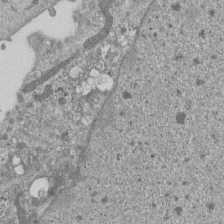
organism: Mouse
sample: ED-1 cell nuclei; centrioles